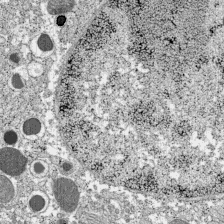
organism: C57BL Mouse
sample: Pancreatic islet